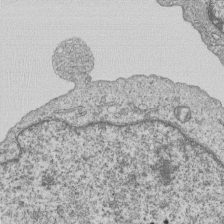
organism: Human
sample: MDA-MB-231 cells